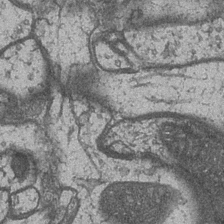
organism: Drosophila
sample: Optic medulla